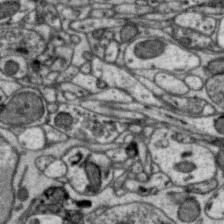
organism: Zebra finch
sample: Brain